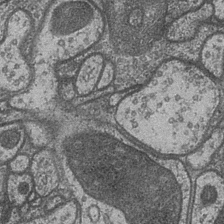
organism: Drosophila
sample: Optic medulla